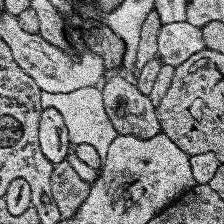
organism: Human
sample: Temporal Lobe